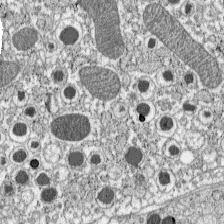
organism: C57BL Mouse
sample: Pancreatic islet